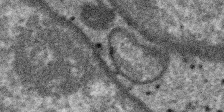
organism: Human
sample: Lung epithelial cells infected with SARS-CoV-2